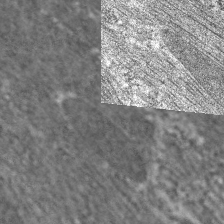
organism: C. elegans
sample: Pharynx